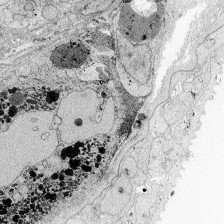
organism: Zebrafish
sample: Whole-Brain